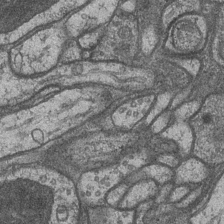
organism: Drosophila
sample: Optic medulla